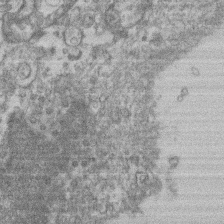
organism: Mouse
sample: T cell stromal cell synapse